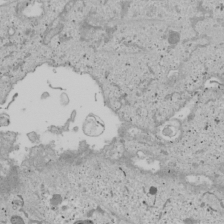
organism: Human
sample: Mitochondria in U2OS cells